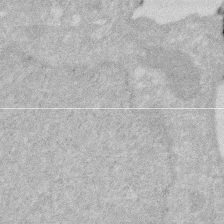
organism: Human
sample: HIV infected U937 cells